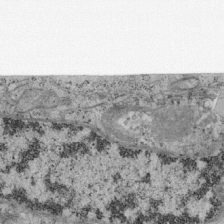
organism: Human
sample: HeLa cells